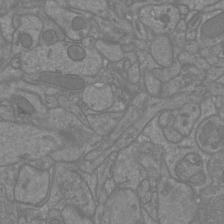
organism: Mouse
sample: Cortical neurons